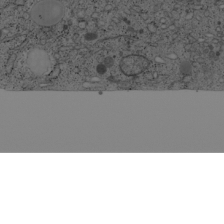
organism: African green monkey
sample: COS-7 cells